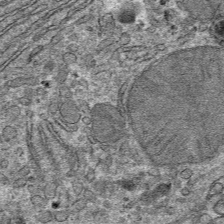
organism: Mouse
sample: Mouse hepatocytes